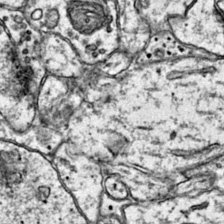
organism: Mouse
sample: Primary visual cortex